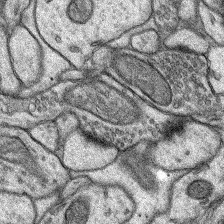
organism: Rat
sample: Hippocampus